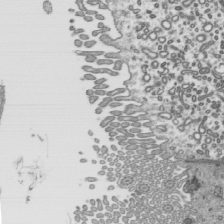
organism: Mouse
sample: Mouse epididymis efferent ductule cilia